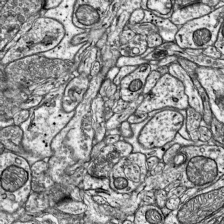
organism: Mouse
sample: Visual Cortex